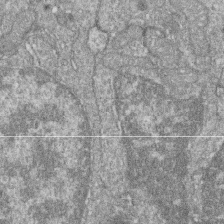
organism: Zebrafish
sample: Cilia; retinal pigment epithelium